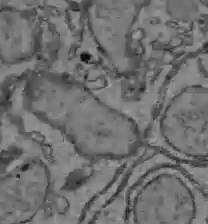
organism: C57BL Mouse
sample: Liver